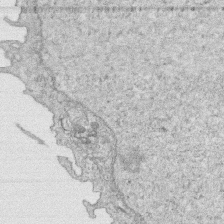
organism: Human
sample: HeLa cell HIV synapse